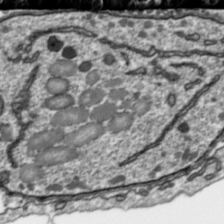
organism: Toxoplasma gondii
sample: Parasites in a vacuole inside a host cell